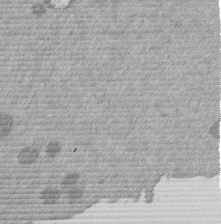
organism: Mouse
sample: Dividing mouse embryo 1 cell stage